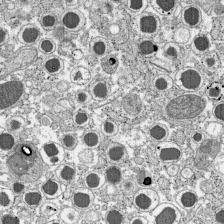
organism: C57BL Mouse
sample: Pancreatic islet